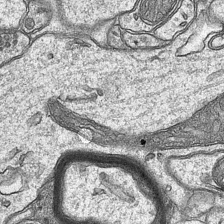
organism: Mouse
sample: CA1 Hippocampus